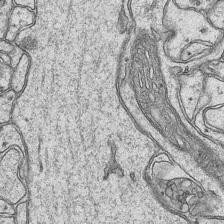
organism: Mouse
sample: CA1 Hippocampus